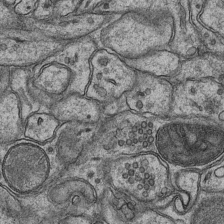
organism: Mouse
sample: CA1 Hippocampus